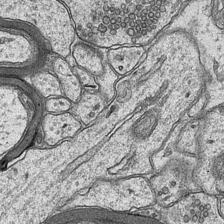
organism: Mouse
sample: CA1 Hippocampus